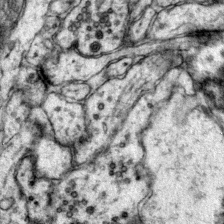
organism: Mouse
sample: Primary visual cortex